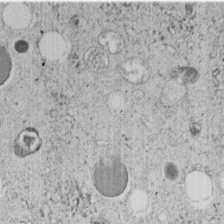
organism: C. elegans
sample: C. elegans embryo early stage